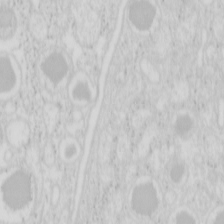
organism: Mouse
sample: Pancreas